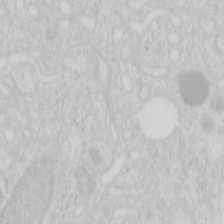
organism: Mouse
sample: Pancreas